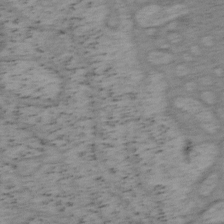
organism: Mouse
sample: OT-I killer T cells with ID8 ovarian cancer cells